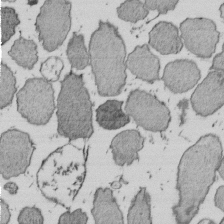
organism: E. coli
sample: Bacterial nucleoid